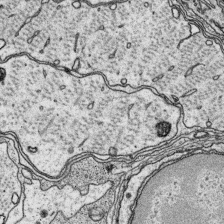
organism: Platynereis dumerilii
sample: Parapodia